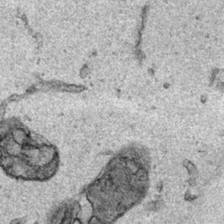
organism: Human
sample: Mitochondria in HCT116 cells